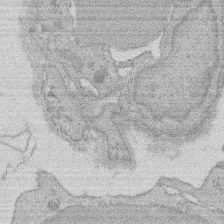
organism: Rat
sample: Salivary granule